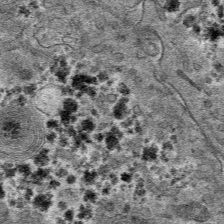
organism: Mouse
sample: Mouse hepatocytes